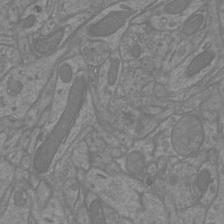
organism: Mouse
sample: Cortical neurons